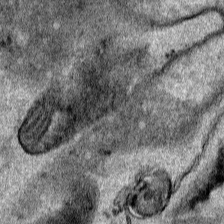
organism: Human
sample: Mitochondria in HCT116 cells